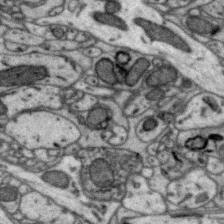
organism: Zebra finch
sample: Brain